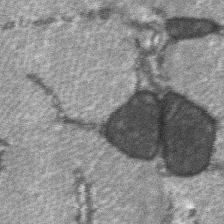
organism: C57BL Mouse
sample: Soleus